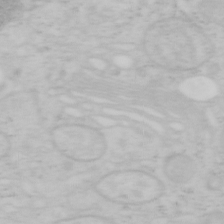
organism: Mouse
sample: OT-I killer T cells with ID8 ovarian cancer cells